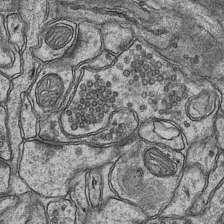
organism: Mouse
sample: CA1 Hippocampus